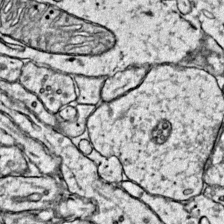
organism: Mouse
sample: Primary visual cortex